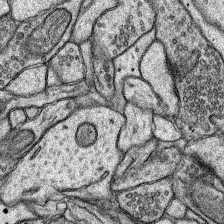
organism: Rat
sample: Hippocampus